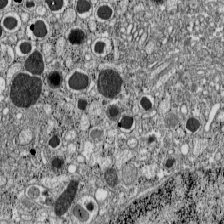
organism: C57BL Mouse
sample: Pancreatic islet